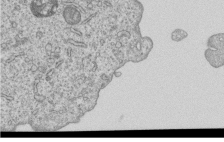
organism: Human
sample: MDA-MB-231 cells